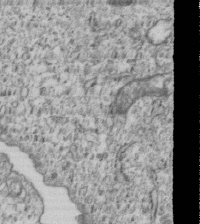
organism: Human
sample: MDA-MB-231 cells